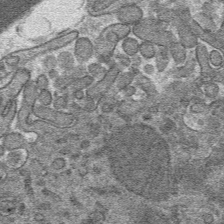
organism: Mouse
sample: Mouse hepatocytes